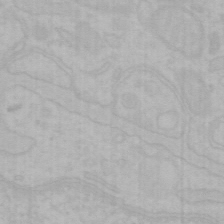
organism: Mouse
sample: Choroid plexus